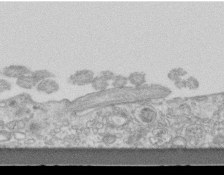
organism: Mouse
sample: Centriole in ependymal cells